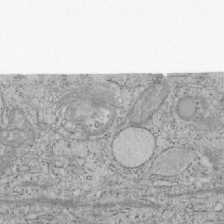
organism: Human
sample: HeLa cells